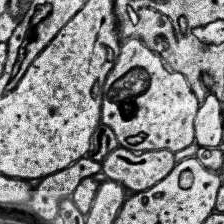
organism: Human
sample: Temporal Lobe